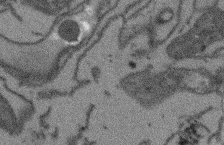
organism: Arabidopsis thaliana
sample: Root tip